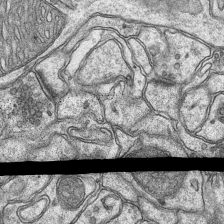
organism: Mouse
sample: CA1 Hippocampus